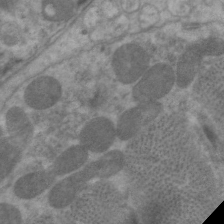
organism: C. elegans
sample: Pharynx